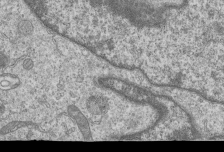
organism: Human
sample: MDA-MB-231 cells